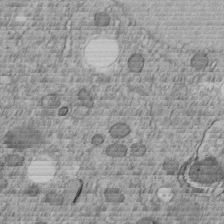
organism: C. elegans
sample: C. elegans embryo early stage